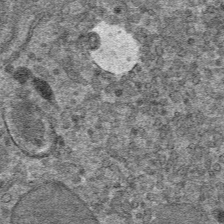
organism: Mouse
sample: Mouse hepatocytes